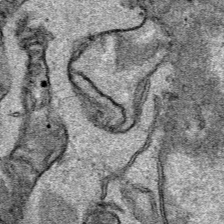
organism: Human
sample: Mitochondria in HCT116 cells